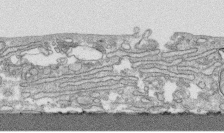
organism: Human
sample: CRL-1474